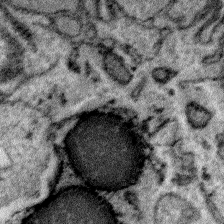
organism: Plasmodium falciparum